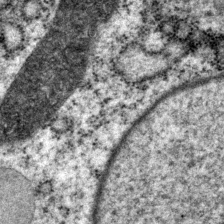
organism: P. pacificus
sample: Pharynx